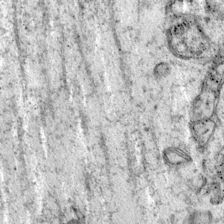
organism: Mouse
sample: Primary visual cortex